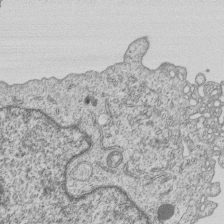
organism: Human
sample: MDA-MB-231 cells